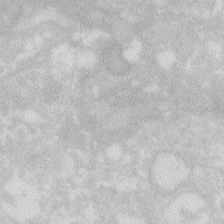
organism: Zebrafish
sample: Macrophage